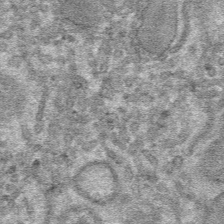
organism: Mouse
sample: Mouse hepatocytes